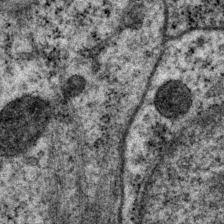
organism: P. pacificus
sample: Pharynx